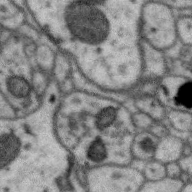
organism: Zebra finch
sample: Brain